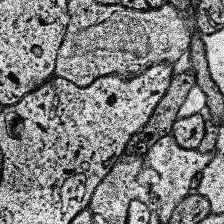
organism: Human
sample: Temporal Lobe